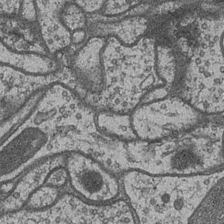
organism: Drosophila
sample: Optic medulla